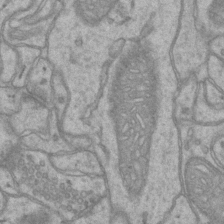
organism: Mouse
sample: CA1 Hippocampus